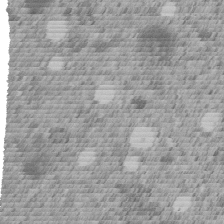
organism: C. elegans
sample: C. elegans embryo early stage